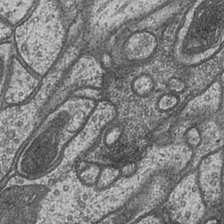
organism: Drosophila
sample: Optic medulla